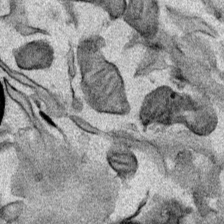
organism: Mouse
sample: Cancer cell death in ED-1 cells